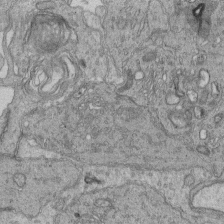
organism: Human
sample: Retinal organoid Rod and Cone cells